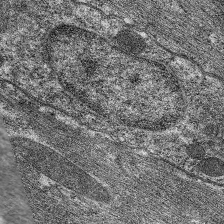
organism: C. elegans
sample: Pharynx